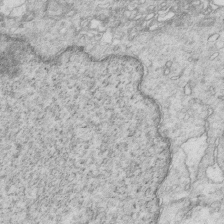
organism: Mouse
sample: Multiciliated cells